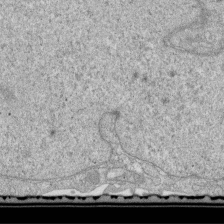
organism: Human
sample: HeLa cell HIV synapse